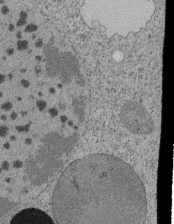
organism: Tetrahymena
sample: Cilia in tetrahymena